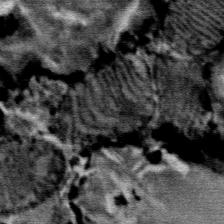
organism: Mouse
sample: Mouse Salivary gland